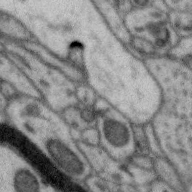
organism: Zebra finch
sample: Brain